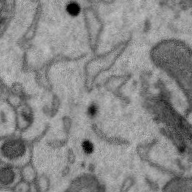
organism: Zebra finch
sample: Brain